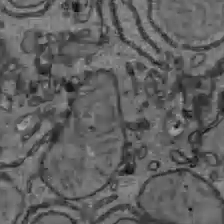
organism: C57BL Mouse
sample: Liver